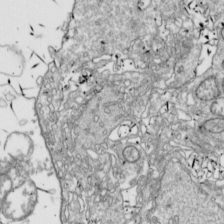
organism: Drosophila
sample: Cell division; meiosis; drosophila spermatocytes